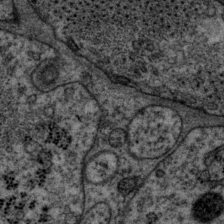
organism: P. pacificus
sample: Pharynx